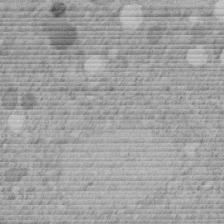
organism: C. elegans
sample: C. elegans embryo early stage